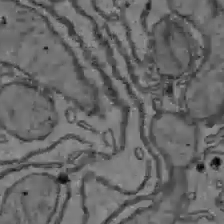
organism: C57BL Mouse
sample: Liver